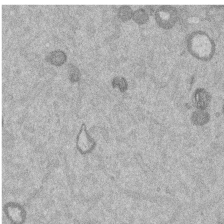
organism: Mouse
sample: Dividing mouse embryo 1 cell stage